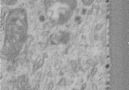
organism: Human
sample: Centriole in RPE cells